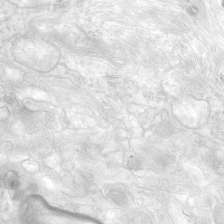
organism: Human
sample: Neocortex